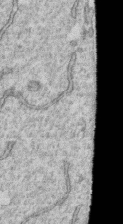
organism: Human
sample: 1205lu cells